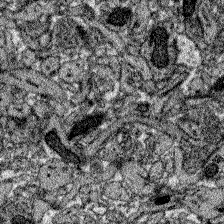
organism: Zebrafish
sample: Larval olfactory bulb